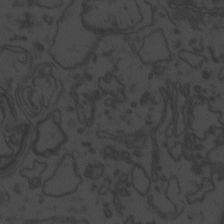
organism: Zebrafish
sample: Macrophage infected with Toxoplasma gondii